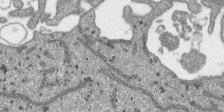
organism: Human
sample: Lung epithelial cells infected with SARS-CoV-2